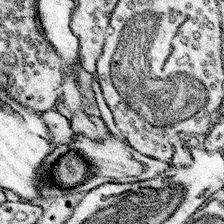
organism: Mouse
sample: Somatosensory cortex neuropil